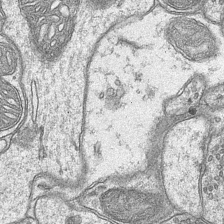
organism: Mouse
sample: CA1 Hippocampus